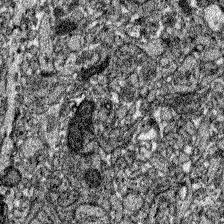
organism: Zebrafish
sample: Larval olfactory bulb